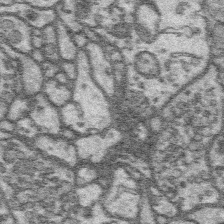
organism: Platynereis dumerilii